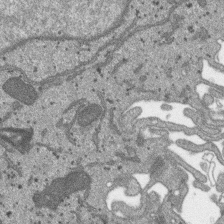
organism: Human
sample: Lung epithelial cells infected with SARS-CoV-2